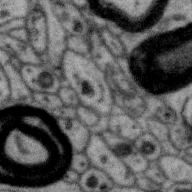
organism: Zebra finch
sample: Brain